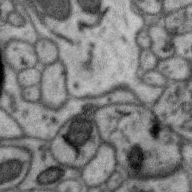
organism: Zebra finch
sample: Brain